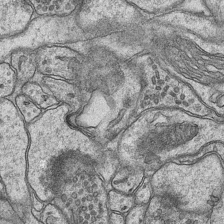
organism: Mouse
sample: CA1 Hippocampus